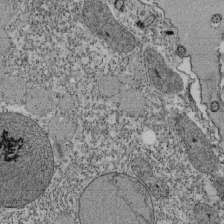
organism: Tetrahymena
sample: Cilia in tetrahymena